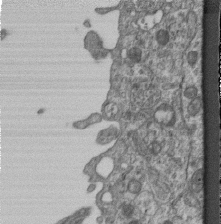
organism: Mouse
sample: Centriole in ependymal cells